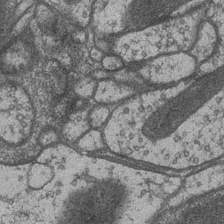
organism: Drosophila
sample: Optic medulla